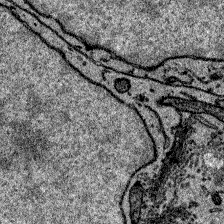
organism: Zebrafish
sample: Larval olfactory bulb